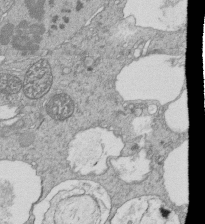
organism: Tetrahymena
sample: Cilia in tetrahymena